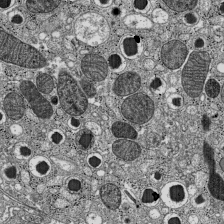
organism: C57BL Mouse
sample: Pancreatic islet